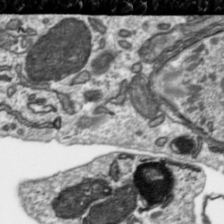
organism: Toxoplasma gondii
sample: Parasites in a vacuole inside a host cell